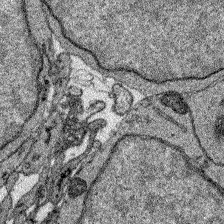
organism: Zebrafish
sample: Larval olfactory bulb